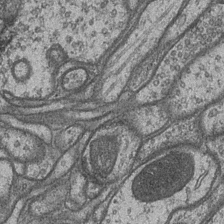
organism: Drosophila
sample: Optic medulla